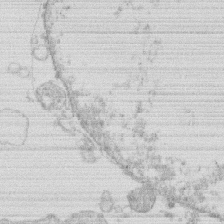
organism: Human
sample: Macrophage cells